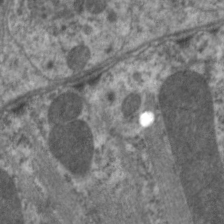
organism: C. elegans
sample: Pharynx